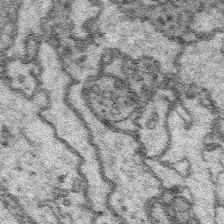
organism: Platynereis dumerilii